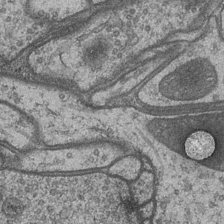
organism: Drosophila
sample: Optic medulla